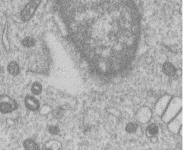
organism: Human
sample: Macrophage cells